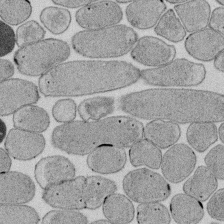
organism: E. coli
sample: Bacterial nucleoid